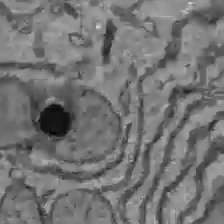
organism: C57BL Mouse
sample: Liver